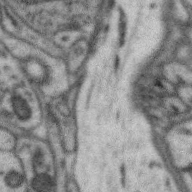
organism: Zebra finch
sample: Brain